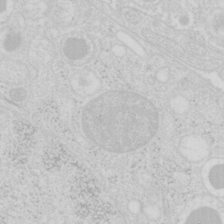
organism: Mouse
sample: Pancreas